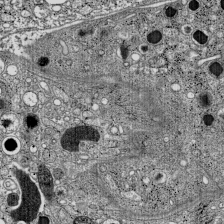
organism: C57BL Mouse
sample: Pancreatic islet